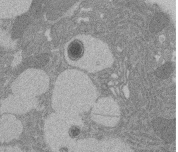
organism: Rat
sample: Salivary granule